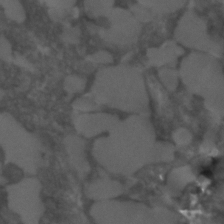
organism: C. elegans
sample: C. elegans embryo